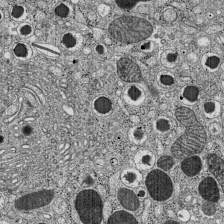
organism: C57BL Mouse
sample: Pancreatic islet